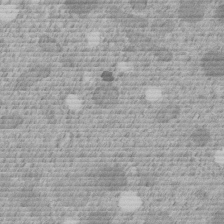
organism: C. elegans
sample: C. elegans embryo early stage